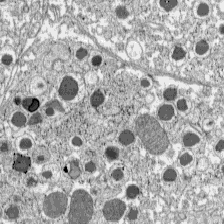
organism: C57BL Mouse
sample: Pancreatic islet